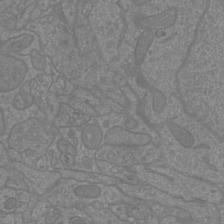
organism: Mouse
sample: Cortical neurons